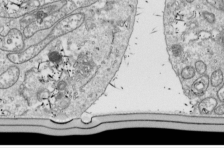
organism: Drosophila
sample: Cell division; meiosis; drosophila spermatocytes